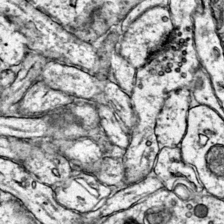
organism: Mouse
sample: Primary visual cortex